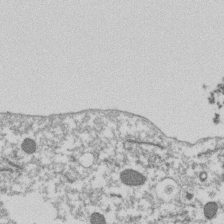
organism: Dictyostelium discoideum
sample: Dictyostelium multivesicular bodies